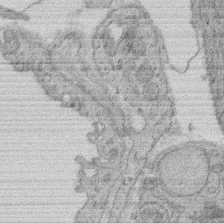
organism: Rat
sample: Salivary granule